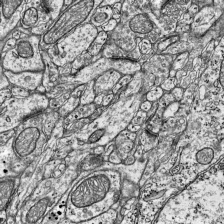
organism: Mouse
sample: Visual Cortex